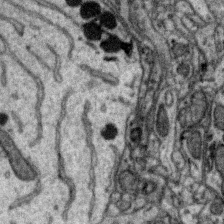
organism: Zebra finch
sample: Brain